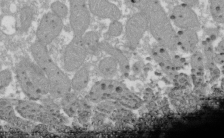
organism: Xenopus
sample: Cilia; centrioles in frog embryo cells